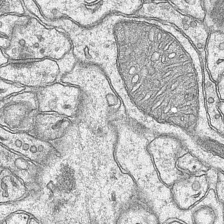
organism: Mouse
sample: CA1 Hippocampus